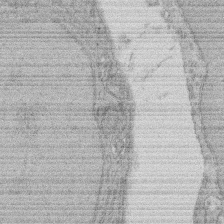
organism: Rat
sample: Salivary granule